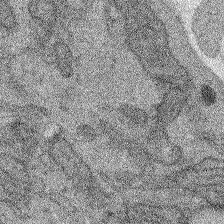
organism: Human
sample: HeLa cells